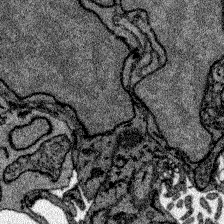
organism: Zebrafish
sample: Larval olfactory bulb